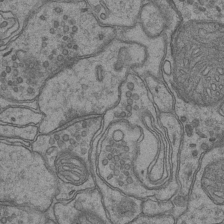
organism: Mouse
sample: CA1 Hippocampus